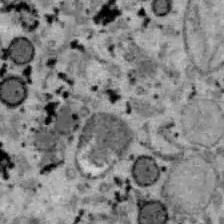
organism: Mouse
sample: Liver from an obese (ob/ob) mouse